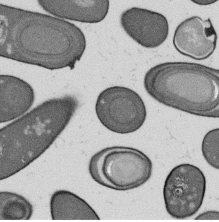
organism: B. subtilis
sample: Bacterial spore